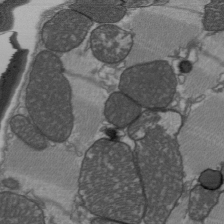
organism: C57BL Mouse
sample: Heart